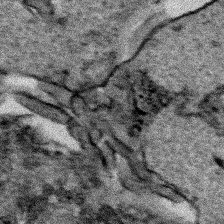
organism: Human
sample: Mitochondria in HCT116 cells